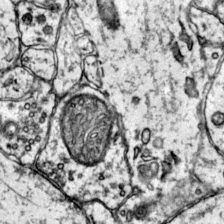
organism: Mouse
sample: Primary visual cortex